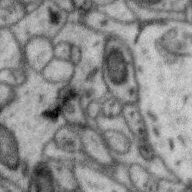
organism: Zebra finch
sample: Brain